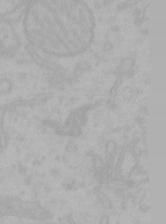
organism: Mouse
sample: Choroid plexus